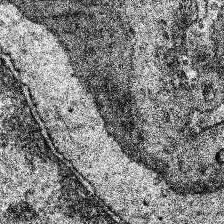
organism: Human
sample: Temporal Lobe